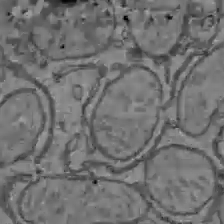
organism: C57BL Mouse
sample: Liver